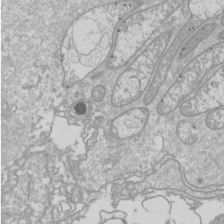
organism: Drosophila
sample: Cell division; meiosis; drosophila spermatocytes